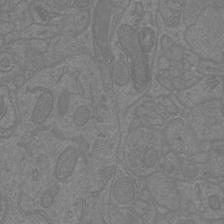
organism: Mouse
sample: Cortical neurons